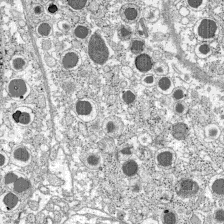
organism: C57BL Mouse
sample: Pancreatic islet